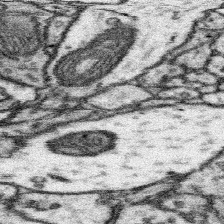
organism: Mouse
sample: Somatosensory cortex neuropil